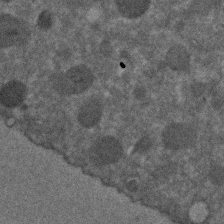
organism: C. elegans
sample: C. elegans embryo